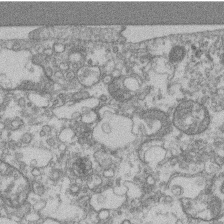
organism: Mouse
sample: T cell stromal cell synapse